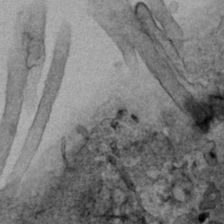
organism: Human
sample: Mitochondria in HCT116 cells